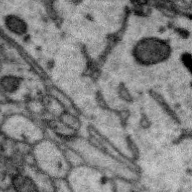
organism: Zebra finch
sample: Brain